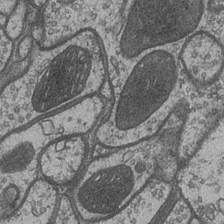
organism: Drosophila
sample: Optic medulla